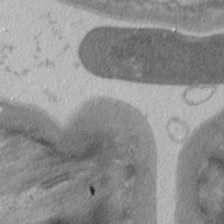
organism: C. elegans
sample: Pharynx